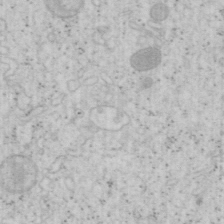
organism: Human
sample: HeLa cells